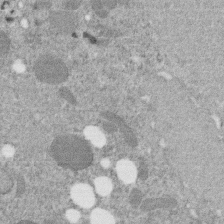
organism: C. elegans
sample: C. elegans embryo early stage